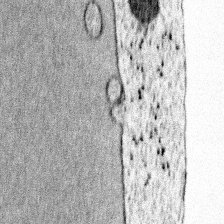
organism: Human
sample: HeLa cells